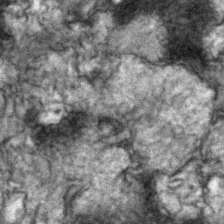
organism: Zebrafish